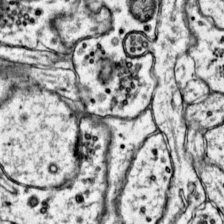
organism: Mouse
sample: Primary visual cortex